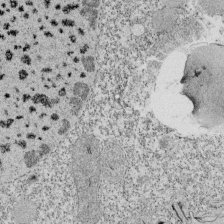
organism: Tetrahymena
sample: Cilia in tetrahymena